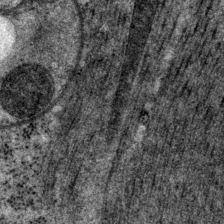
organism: P. pacificus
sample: Pharynx